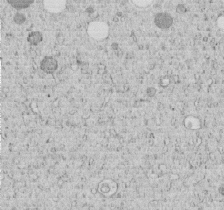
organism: C. elegans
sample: C. elegans embryo early stage